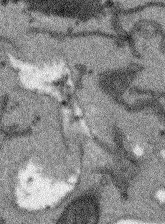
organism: Arabidopsis thaliana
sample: Root tip